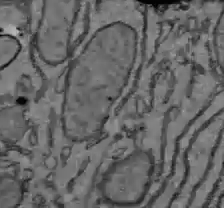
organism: C57BL Mouse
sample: Liver